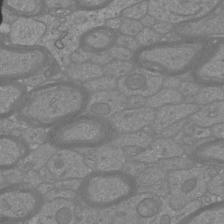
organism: Mouse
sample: Cortical neurons